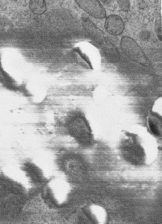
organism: C. elegans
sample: C. elegans embryo early stage